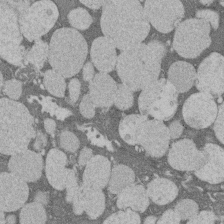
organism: Rat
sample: Salivary granule